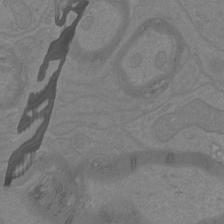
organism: Mouse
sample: Cortical neurons